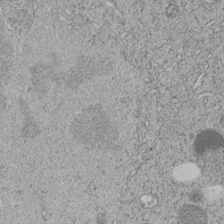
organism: C. elegans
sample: C. elegans embryo early stage